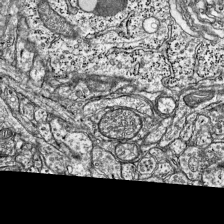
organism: Mouse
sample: Visual Cortex